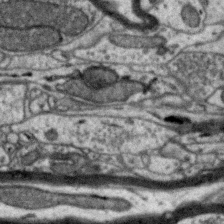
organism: Zebra finch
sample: Brain